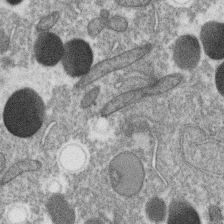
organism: C. elegans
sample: C. elegans oocyte; sperm cells